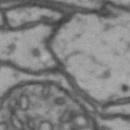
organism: Drosophila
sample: Brain